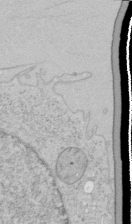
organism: Human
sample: Mitochondria in HCT116 cells